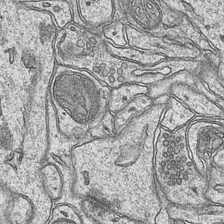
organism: Mouse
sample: CA1 Hippocampus